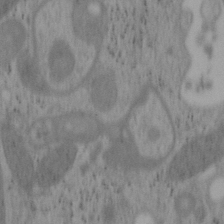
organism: Mouse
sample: OT-I killer T cells with ID8 ovarian cancer cells